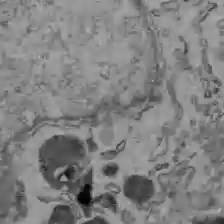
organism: C57BL Mouse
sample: Liver